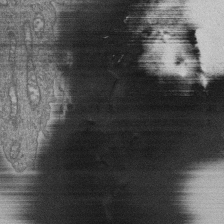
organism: Human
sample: Retinal organoid Rod and Cone cells